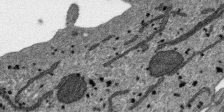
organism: Human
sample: Lung epithelial cells, uninfected (mock) control